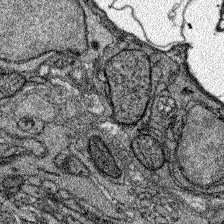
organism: Zebrafish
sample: Larval olfactory bulb